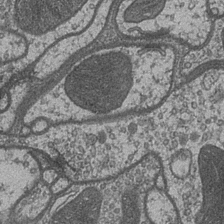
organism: Drosophila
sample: Optic medulla